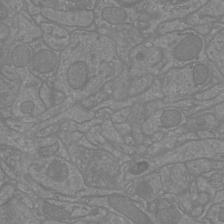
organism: Mouse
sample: Cortical neurons